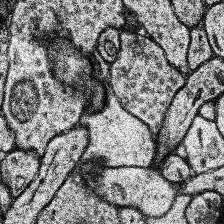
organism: Human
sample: Temporal Lobe